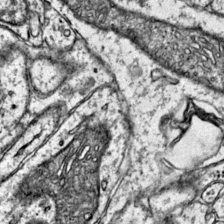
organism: Mouse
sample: Primary visual cortex